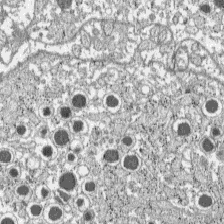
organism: C57BL Mouse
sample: Pancreatic islet